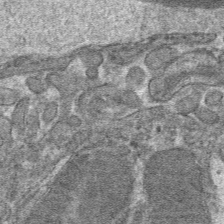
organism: Mouse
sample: Mouse hepatocytes